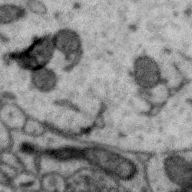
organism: Zebra finch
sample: Brain